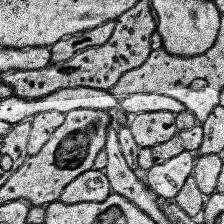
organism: Human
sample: Temporal Lobe